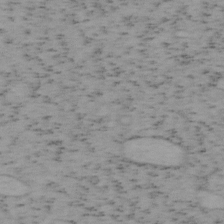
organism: Mouse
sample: OT-I killer T cells with ID8 ovarian cancer cells